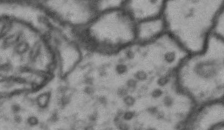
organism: Drosophila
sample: Brain